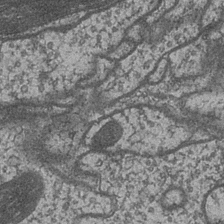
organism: Drosophila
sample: Optic medulla